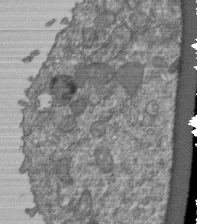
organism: Human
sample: Retinal organoid Rod and Cone cells